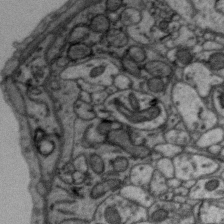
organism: Zebra finch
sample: Brain